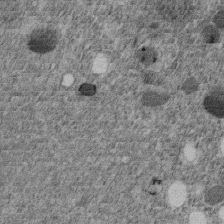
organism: C. elegans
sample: C. elegans embryo early stage